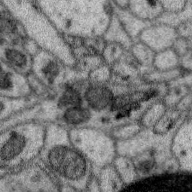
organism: Zebra finch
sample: Brain